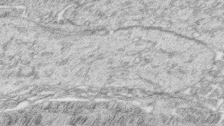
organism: Zebrafish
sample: synaptic ribbons in rod cells and cone cells